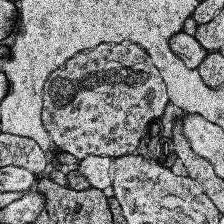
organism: Human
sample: Temporal Lobe